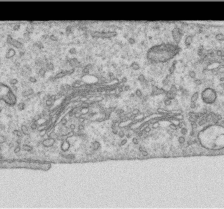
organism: Human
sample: Centriole in RPE cells